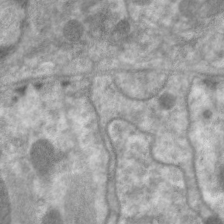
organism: C. elegans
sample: Pharynx